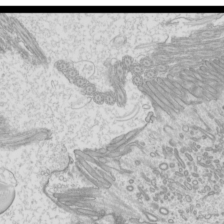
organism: Mouse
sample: Cilia; mouse epididymis